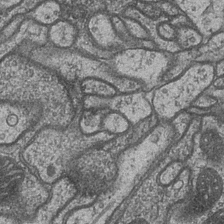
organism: Drosophila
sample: Optic medulla